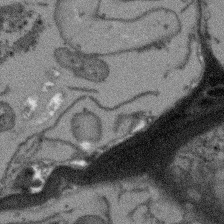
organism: Arabidopsis thaliana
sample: Root tip